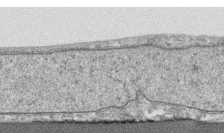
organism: Human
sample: CRL-1474